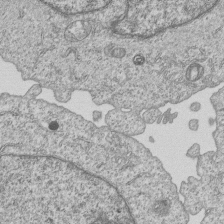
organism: Human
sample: MDA-MB-231 cells